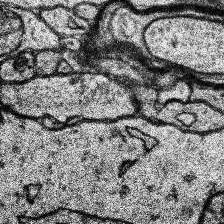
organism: Human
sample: Temporal Lobe